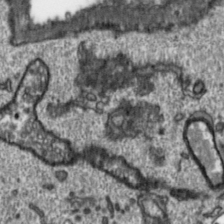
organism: Toxoplasma gondii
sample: Parasites in a vacuole inside a host cell